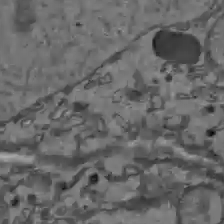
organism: C57BL Mouse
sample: Liver